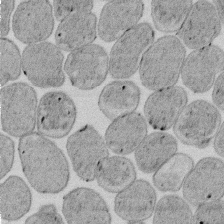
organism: E. coli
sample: Bacterial nucleoid